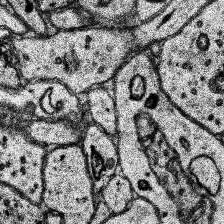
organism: Human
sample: Temporal Lobe